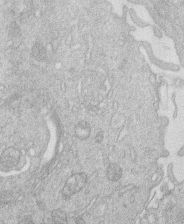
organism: Human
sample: Macrophage cells